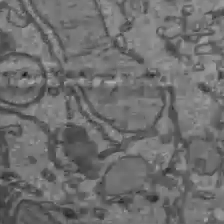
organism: C57BL Mouse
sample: Liver